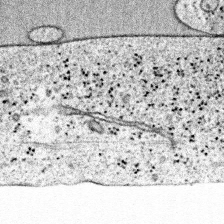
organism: Human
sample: HeLa cells